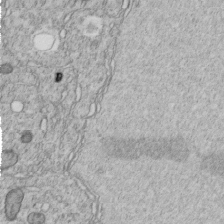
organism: C. elegans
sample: C. elegans embryo early stage